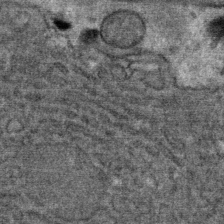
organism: Mouse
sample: Mouse Salivary gland